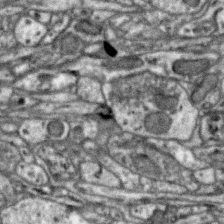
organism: Zebra finch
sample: Brain